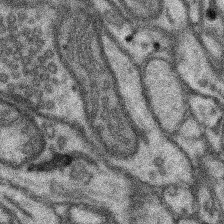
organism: Mouse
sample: Somatosensory cortex neuropil